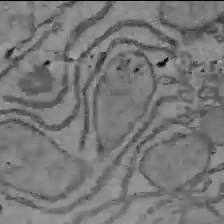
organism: C57BL Mouse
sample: Liver